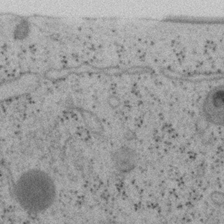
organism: Human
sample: HeLa cells